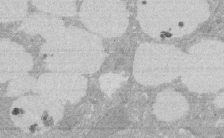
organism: Rat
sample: Salivary granule